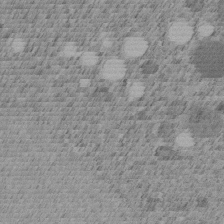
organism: C. elegans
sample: C. elegans embryo early stage